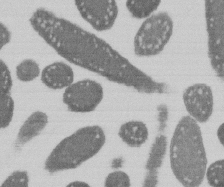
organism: E. coli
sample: Bacterial nucleoid